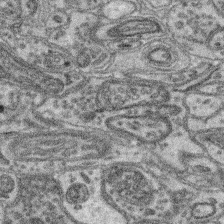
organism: Mouse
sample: Retina